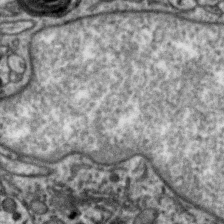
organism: Zebra finch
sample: Brain